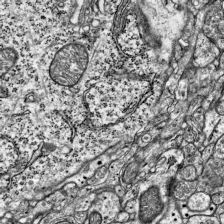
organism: Mouse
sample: Visual Cortex